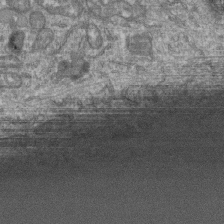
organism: Human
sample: Retinal organoid Rod and Cone cells